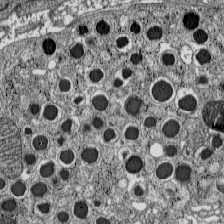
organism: C57BL Mouse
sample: Pancreatic islet